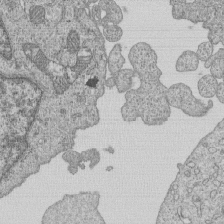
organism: Human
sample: MDA-MB-231 cells